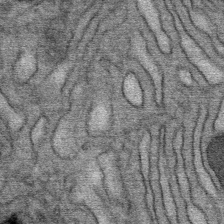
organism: Mouse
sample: Mouse Salivary gland